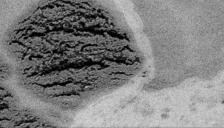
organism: Embia sp.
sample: Silk gland